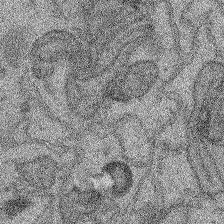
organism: Human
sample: HeLa cells